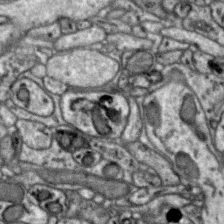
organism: Zebra finch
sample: Brain